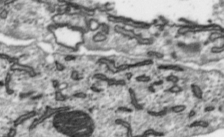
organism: Toxoplasma gondii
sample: Parasites in a vacuole inside a host cell